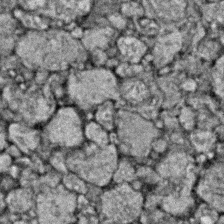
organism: Zebrafish